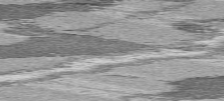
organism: C57BL Mouse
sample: Heart